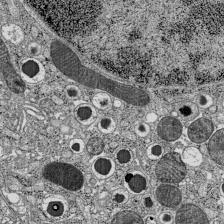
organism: C57BL Mouse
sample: Pancreatic islet